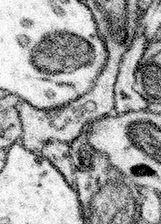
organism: Mouse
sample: Somatosensory cortex neuropil